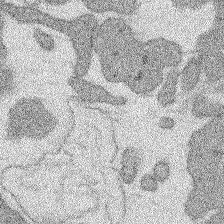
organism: Human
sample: HeLa cells